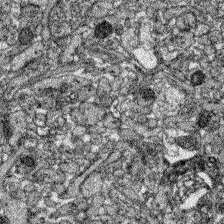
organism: Zebrafish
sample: Larval olfactory bulb